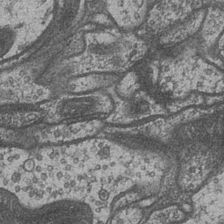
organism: Drosophila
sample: Optic medulla